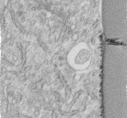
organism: Human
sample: Centriole in fibroblast cells